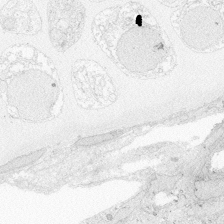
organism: Zebrafish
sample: Whole-Brain